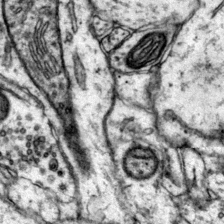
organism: Mouse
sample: Primary visual cortex